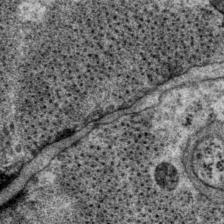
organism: P. pacificus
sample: Pharynx